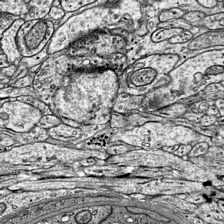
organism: Mouse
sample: Visual Cortex